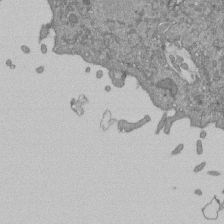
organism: Mouse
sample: ED-1 cell nuclei; centrioles